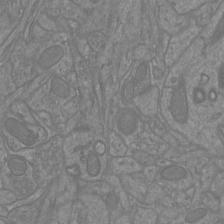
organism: Mouse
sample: Cortical neurons